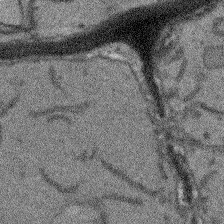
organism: Arabidopsis thaliana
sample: Root tip